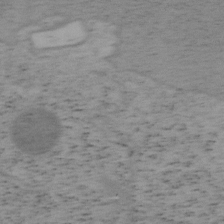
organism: Mouse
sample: OT-I killer T cells with ID8 ovarian cancer cells